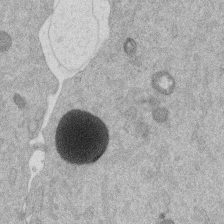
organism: Mouse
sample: Dividing mouse embryo 1 cell stage